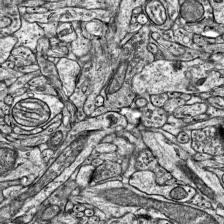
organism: Mouse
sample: Visual Cortex